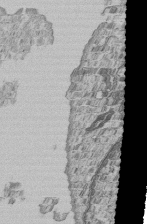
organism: Human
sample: MDA-MB-231 cells